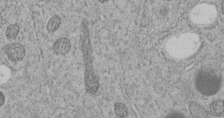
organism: C. elegans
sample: C. elegans embryo early stage